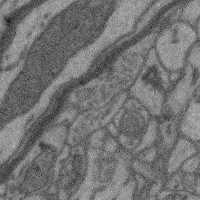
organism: Mouse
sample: Cerebral cortex